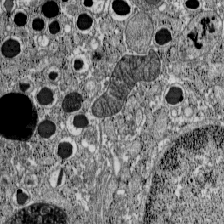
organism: C57BL Mouse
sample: Pancreatic islet